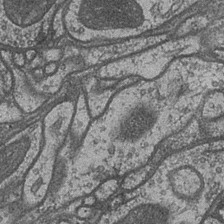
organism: Drosophila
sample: Optic medulla